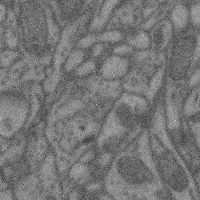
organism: Mouse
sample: Cerebral cortex